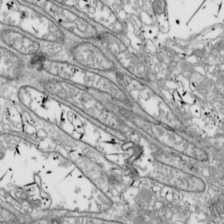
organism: Drosophila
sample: Cell division; meiosis; drosophila spermatocytes